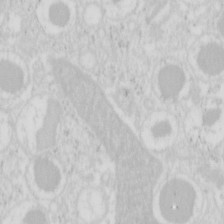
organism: Mouse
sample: Pancreas